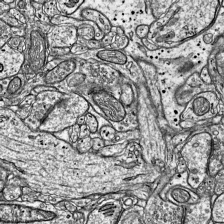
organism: Mouse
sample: Visual Cortex